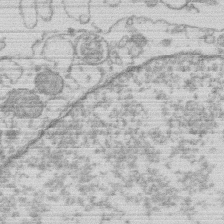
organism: Human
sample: Macrophage cells